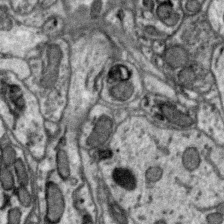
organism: Zebra finch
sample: Brain